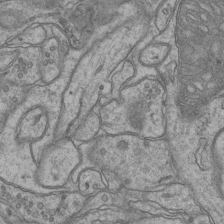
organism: Mouse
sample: CA1 Hippocampus